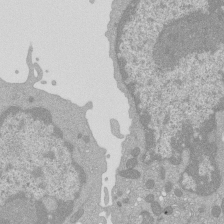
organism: Mouse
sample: Activated Pmel transgenic CD8+ T Cells